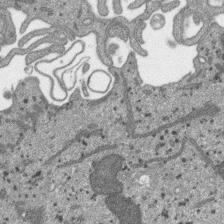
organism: Human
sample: Lung epithelial cells infected with SARS-CoV-2